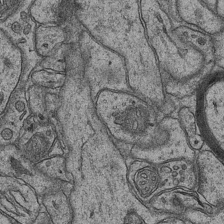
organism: Mouse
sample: CA1 Hippocampus